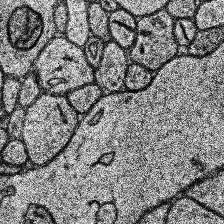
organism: Human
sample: Temporal Lobe